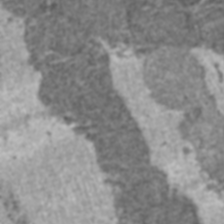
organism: C57BL Mouse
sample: Heart